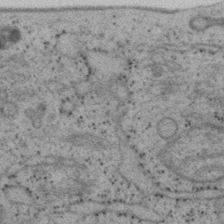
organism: Human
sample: HeLa cells